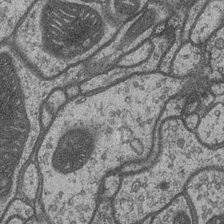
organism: Drosophila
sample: Optic medulla